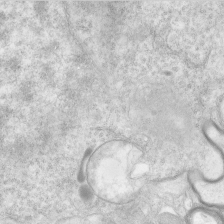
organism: Human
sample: Neocortex